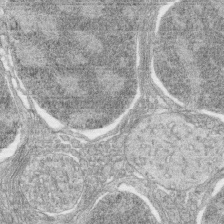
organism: Zebrafish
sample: synaptic ribbons in rod cells and cone cells